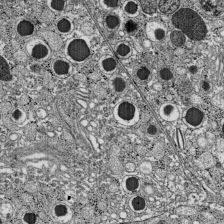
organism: C57BL Mouse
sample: Pancreatic islet